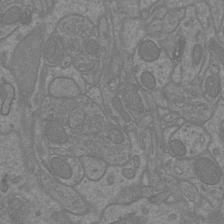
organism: Mouse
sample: Cortical neurons